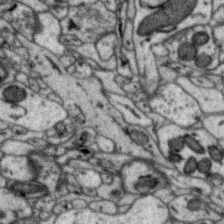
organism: Zebra finch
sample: Brain